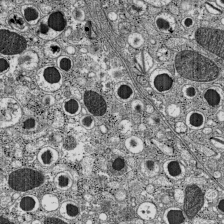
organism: C57BL Mouse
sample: Pancreatic islet